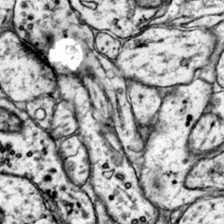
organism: Mouse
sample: Primary visual cortex